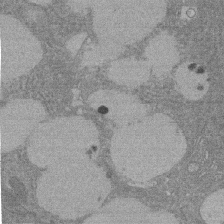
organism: Rat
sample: Salivary granule